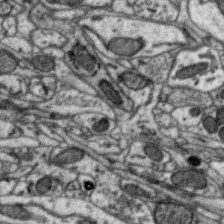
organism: Zebra finch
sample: Brain